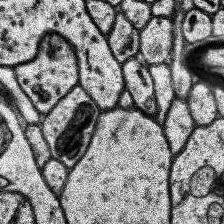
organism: Human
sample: Temporal Lobe